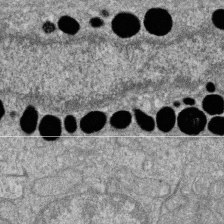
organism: Zebrafish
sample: Cilia; retinal pigment epithelium